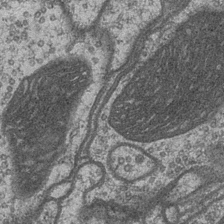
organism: Drosophila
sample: Optic medulla